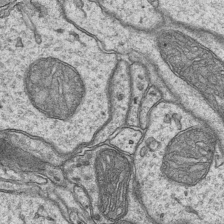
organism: Mouse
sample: CA1 Hippocampus